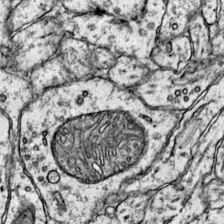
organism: Mouse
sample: Primary visual cortex